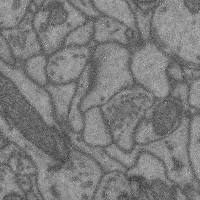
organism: Mouse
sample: Cerebral cortex